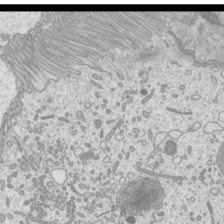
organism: Mouse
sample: Cilia; mouse epididymis